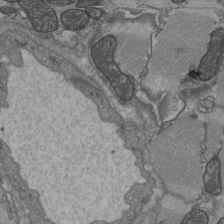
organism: C57BL Mouse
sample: Heart